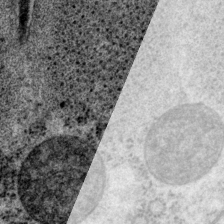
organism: P. pacificus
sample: Pharynx